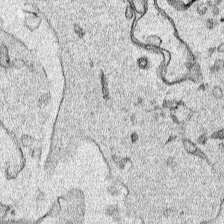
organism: Human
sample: Mitochondria in HCT116 cells